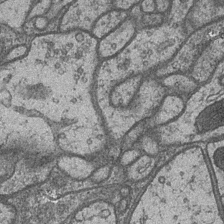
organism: Drosophila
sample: Optic medulla